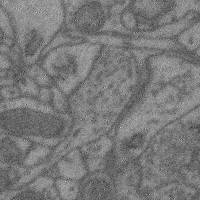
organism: Mouse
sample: Cerebral cortex